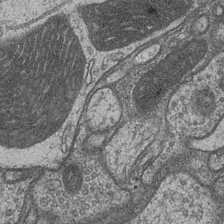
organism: Drosophila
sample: Optic medulla